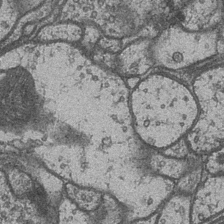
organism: Drosophila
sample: Optic medulla